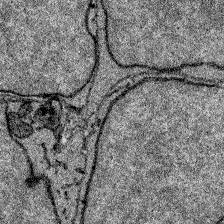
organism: Zebrafish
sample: Larval olfactory bulb